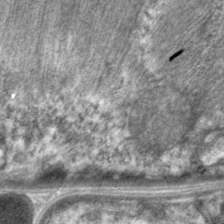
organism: C. elegans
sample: Pharynx